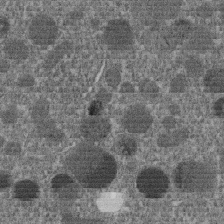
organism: C. elegans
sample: C. elegans embryo early stage